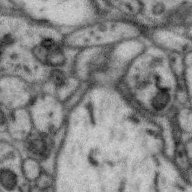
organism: Zebra finch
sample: Brain